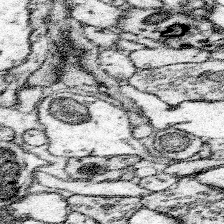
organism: Mouse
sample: Somatosensory cortex neuropil